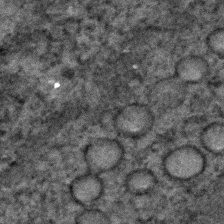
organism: C. elegans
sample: C. elegans embryo